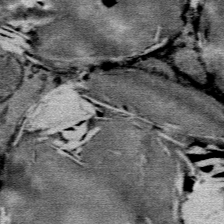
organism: Mouse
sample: Mouse Salivary gland